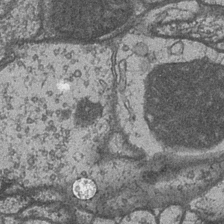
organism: Drosophila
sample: Optic medulla